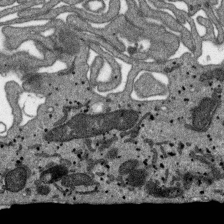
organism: Human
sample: Lung epithelial cells, uninfected (mock) control